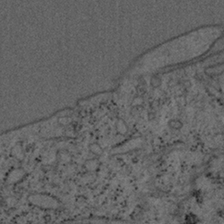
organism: Human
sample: HeLa cells